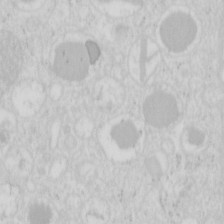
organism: Mouse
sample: Pancreas